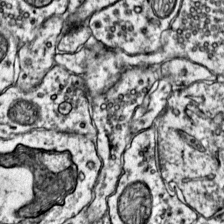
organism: Mouse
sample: Primary visual cortex